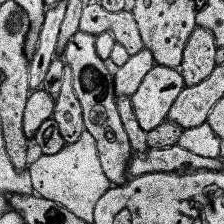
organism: Human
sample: Temporal Lobe